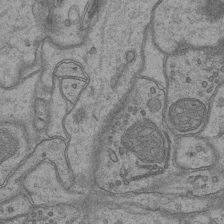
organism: Mouse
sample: CA1 Hippocampus